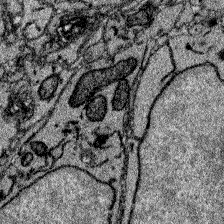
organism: Zebrafish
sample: Larval olfactory bulb